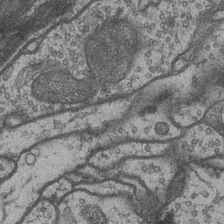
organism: Drosophila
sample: Optic medulla